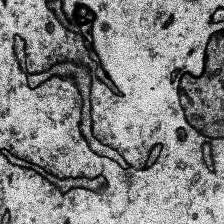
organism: Human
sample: Temporal Lobe